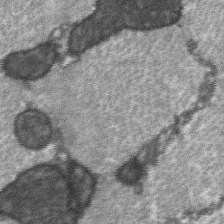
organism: C57BL Mouse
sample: Soleus